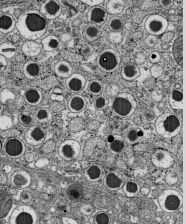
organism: C57BL Mouse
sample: Pancreatic islet